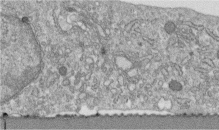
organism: Human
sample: Centriole in fibroblast cells